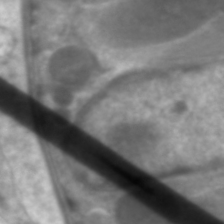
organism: C. elegans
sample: Pharynx